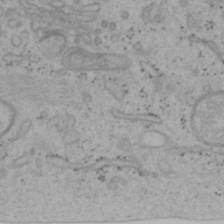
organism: Human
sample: HeLa cells